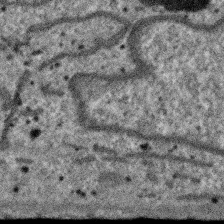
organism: Human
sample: Lung epithelial cells infected with SARS-CoV-2